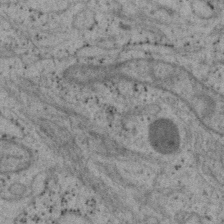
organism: Human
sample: HeLa cells